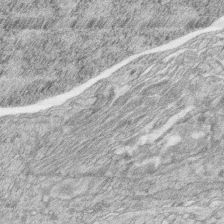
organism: Zebrafish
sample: synaptic ribbons in rod cells and cone cells